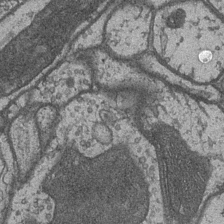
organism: Drosophila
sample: Optic medulla